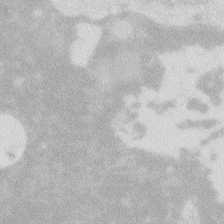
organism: Zebrafish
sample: Macrophage